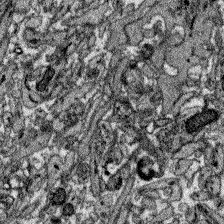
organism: Zebrafish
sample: Larval olfactory bulb